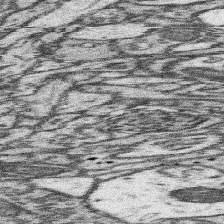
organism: Mouse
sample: Somatosensory cortex neuropil